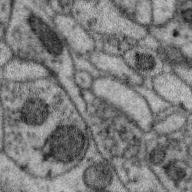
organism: Zebra finch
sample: Brain